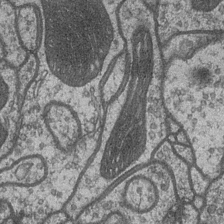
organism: Drosophila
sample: Optic medulla